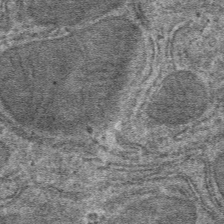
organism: Mouse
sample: Mouse hepatocytes